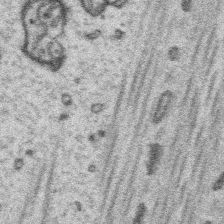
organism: Platynereis dumerilii